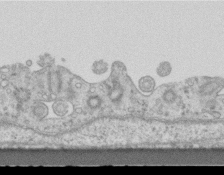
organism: Mouse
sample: Centriole in ependymal cells